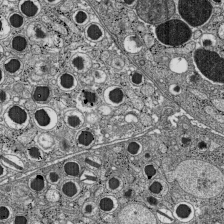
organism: C57BL Mouse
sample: Pancreatic islet